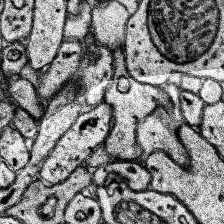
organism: Human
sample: Temporal Lobe